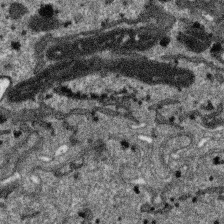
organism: Human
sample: Lung epithelial cells infected with SARS-CoV-2